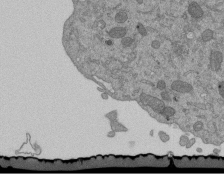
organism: Mouse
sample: ED-1 cell nuclei; centrioles